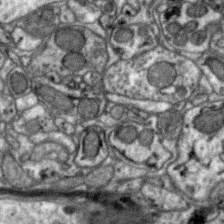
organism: Zebra finch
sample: Brain